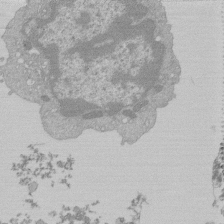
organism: Mouse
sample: Activated Pmel transgenic CD8+ T Cells